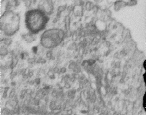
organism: Human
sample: Centriole in RPE cells